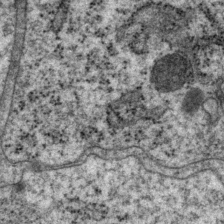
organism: P. pacificus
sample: Pharynx